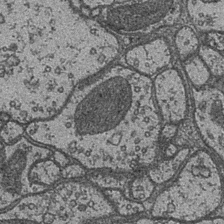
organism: Drosophila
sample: Optic medulla